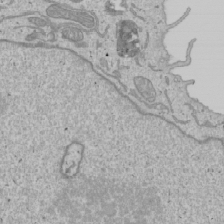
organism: Human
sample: Mitochondria in U2OS cells